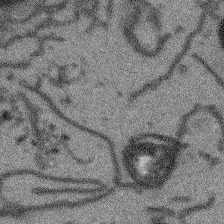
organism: Arabidopsis thaliana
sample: Root tip